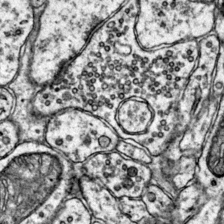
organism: Mouse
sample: Primary visual cortex